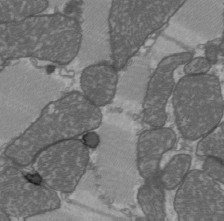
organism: C57BL Mouse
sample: Heart